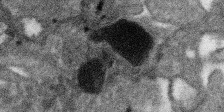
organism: Human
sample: Lung epithelial cells infected with SARS-CoV-2